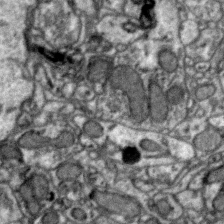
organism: Zebra finch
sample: Brain